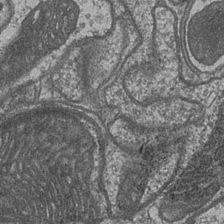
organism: Drosophila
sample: Optic medulla